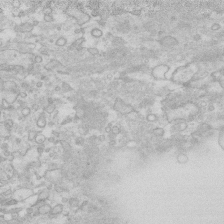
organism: Human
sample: Fibroblast cells